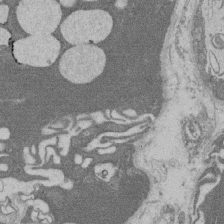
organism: Rat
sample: Salivary granule